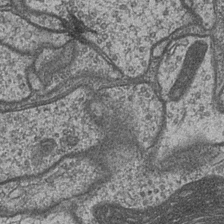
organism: Drosophila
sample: Optic medulla